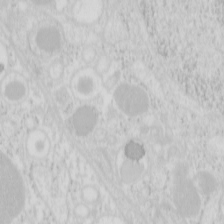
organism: Mouse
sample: Pancreas